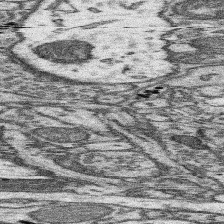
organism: Mouse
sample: Somatosensory cortex neuropil